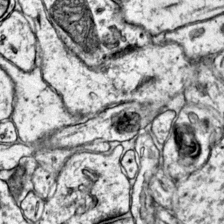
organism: Mouse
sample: Primary visual cortex